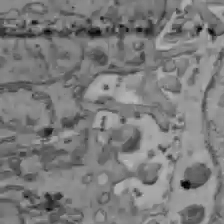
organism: C57BL Mouse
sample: Liver